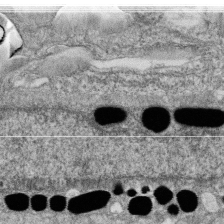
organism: Zebrafish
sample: Cilia; retinal pigment epithelium